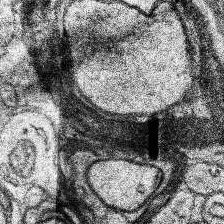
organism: Human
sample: Temporal Lobe